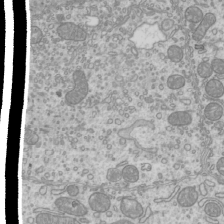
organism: Mouse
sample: Cilia; mouse epididymis